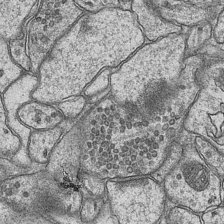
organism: Mouse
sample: CA1 Hippocampus